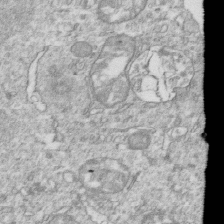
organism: Mouse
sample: Activated OT-1 CD8+ T cells